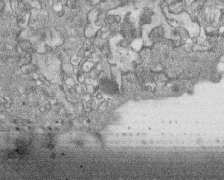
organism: Human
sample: CRL-1474